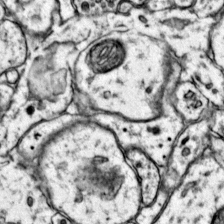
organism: Mouse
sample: Primary visual cortex